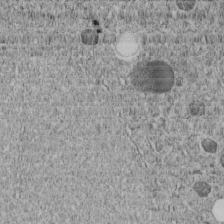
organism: C. elegans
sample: C. elegans embryo early stage